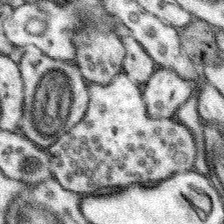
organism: Mouse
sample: Somatosensory cortex neuropil